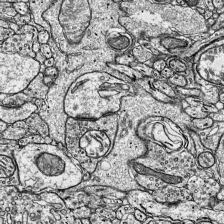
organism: Mouse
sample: Visual Cortex